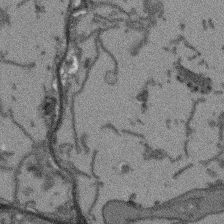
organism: Arabidopsis thaliana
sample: Root tip